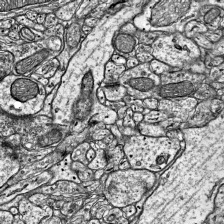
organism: Mouse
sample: Visual Cortex